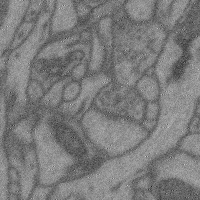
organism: Mouse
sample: Cerebral cortex